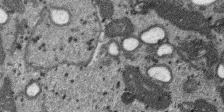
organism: Human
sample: Lung epithelial cells infected with SARS-CoV-2